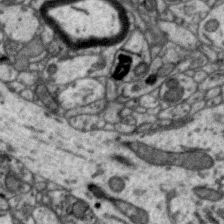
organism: Zebra finch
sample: Brain